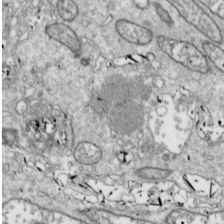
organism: Drosophila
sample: Cell division; meiosis; drosophila spermatocytes